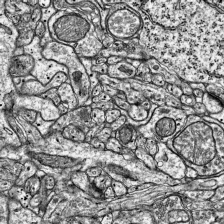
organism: Mouse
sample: Visual Cortex